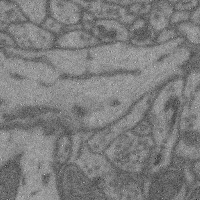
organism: Mouse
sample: Cerebral cortex